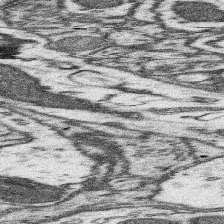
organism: Mouse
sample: Somatosensory cortex neuropil